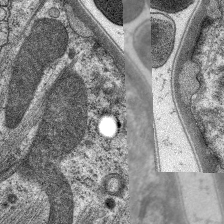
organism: C. elegans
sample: Pharynx